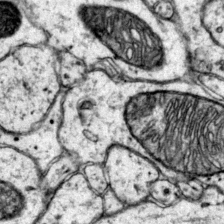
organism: Mouse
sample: Primary visual cortex